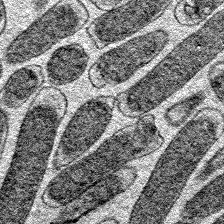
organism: E. coli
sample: E. Coli Bacteria